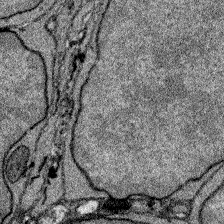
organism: Zebrafish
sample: Larval olfactory bulb